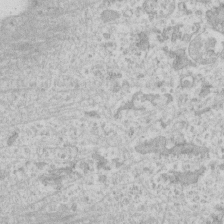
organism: Human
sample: Fibroblast cells